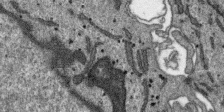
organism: Human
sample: Lung epithelial cells, uninfected (mock) control